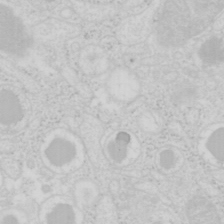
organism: Mouse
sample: Pancreas